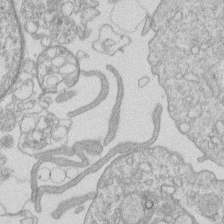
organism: Human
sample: Macrophage cells